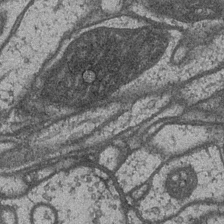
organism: Drosophila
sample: Optic medulla